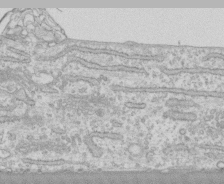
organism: Human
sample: CRL-1474